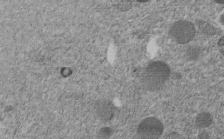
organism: C. elegans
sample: C. elegans embryo early stage